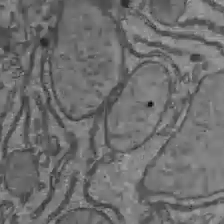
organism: C57BL Mouse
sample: Liver